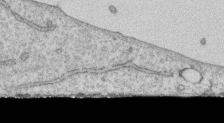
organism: Human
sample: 1205lu cells